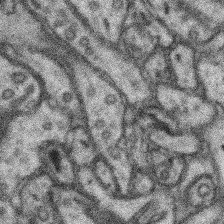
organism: Mouse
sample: Somatosensory cortex neuropil